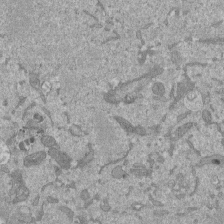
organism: Mouse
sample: ED-1 cell nuclei; centrioles